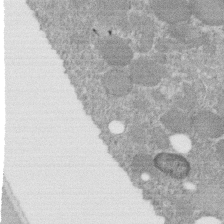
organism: C. elegans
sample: C. elegans embryo early stage